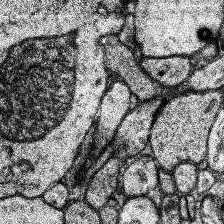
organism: Human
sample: Temporal Lobe